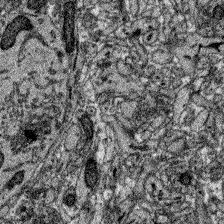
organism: Zebrafish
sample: Larval olfactory bulb